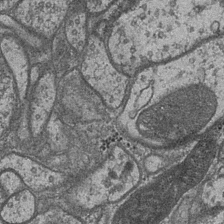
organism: Drosophila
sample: Optic medulla